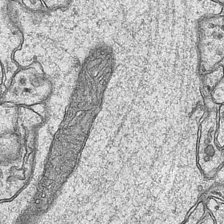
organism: Mouse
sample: CA1 Hippocampus